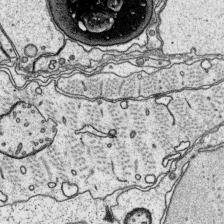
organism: Platynereis dumerilii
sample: Parapodia